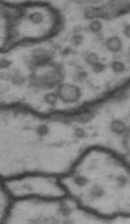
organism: Drosophila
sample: Brain